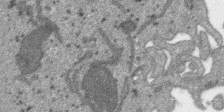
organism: Human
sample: Lung epithelial cells infected with SARS-CoV-2